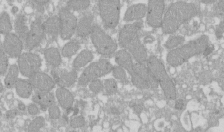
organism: Xenopus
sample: Cilia; centrioles in frog embryo cells